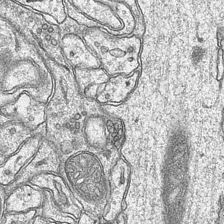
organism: Mouse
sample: CA1 Hippocampus